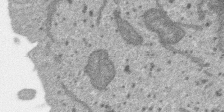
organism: Human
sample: Lung epithelial cells infected with SARS-CoV-2